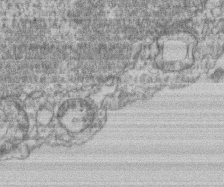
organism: Mouse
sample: T cell stromal cell synapse